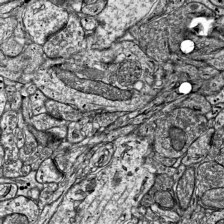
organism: Mouse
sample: Visual Cortex